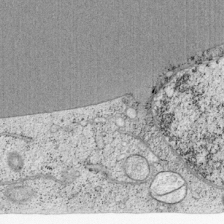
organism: African green monkey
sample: COS-7 cells